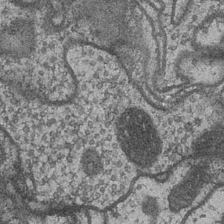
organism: Drosophila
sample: Optic medulla